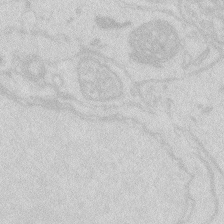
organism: Zebrafish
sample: Macrophage